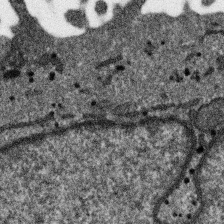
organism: Human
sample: Lung epithelial cells infected with SARS-CoV-2